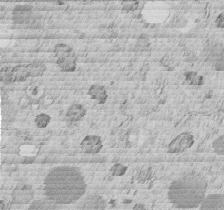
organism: C. elegans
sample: C. elegans embryo early stage